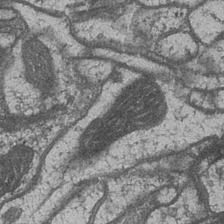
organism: Drosophila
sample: Optic medulla